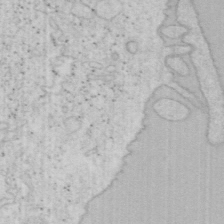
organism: Human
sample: HeLa cells